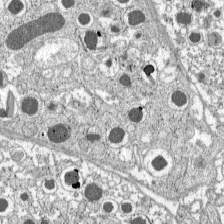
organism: C57BL Mouse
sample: Pancreatic islet